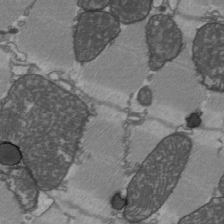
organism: C57BL Mouse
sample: Heart